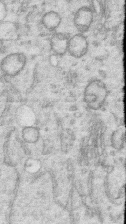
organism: Human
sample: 1205lu cells